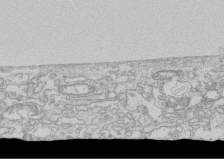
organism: Human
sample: CRL-1474